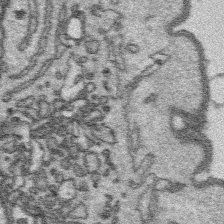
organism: Platynereis dumerilii